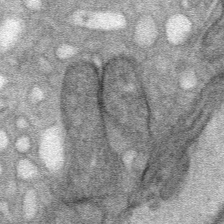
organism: Mouse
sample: Mouse Salivary gland